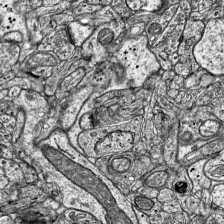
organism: Mouse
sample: Visual Cortex